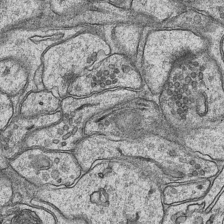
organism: Mouse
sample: CA1 Hippocampus